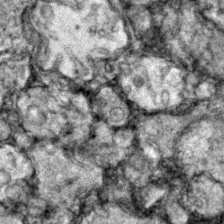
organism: Zebrafish